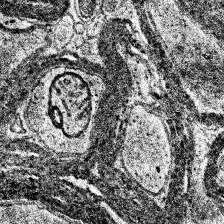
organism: Human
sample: Temporal Lobe